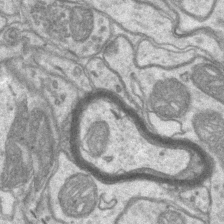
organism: Mouse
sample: CA1 Hippocampus